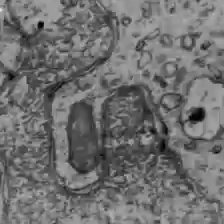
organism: C57BL Mouse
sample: Liver